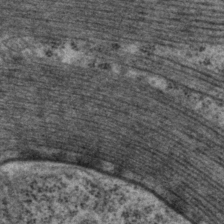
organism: P. pacificus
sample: Pharynx